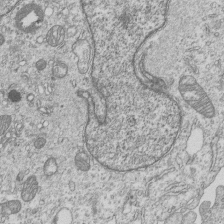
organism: Human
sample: MDA-MB-231 cells